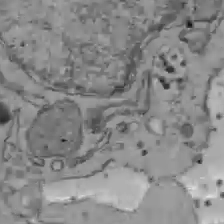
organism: C57BL Mouse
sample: Liver